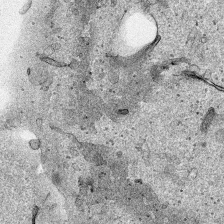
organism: Human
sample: Mitochondria in HCT116 cells